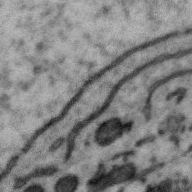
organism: Zebra finch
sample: Brain